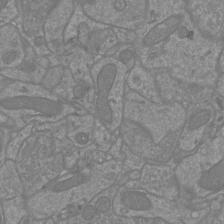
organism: Mouse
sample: Cortical neurons